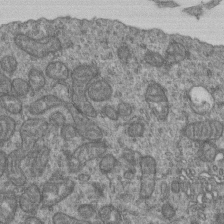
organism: Human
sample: Retinal organoid Rod and Cone cells